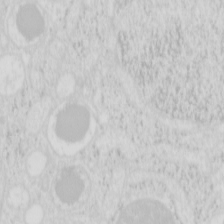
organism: Mouse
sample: Pancreas